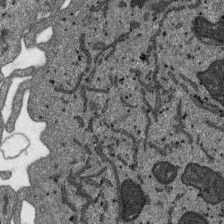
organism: Human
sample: Lung epithelial cells infected with SARS-CoV-2